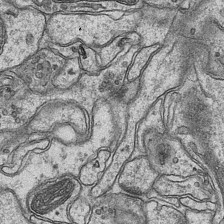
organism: Mouse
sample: CA1 Hippocampus